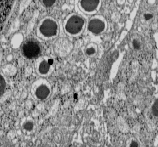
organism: C57BL Mouse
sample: Pancreatic islet